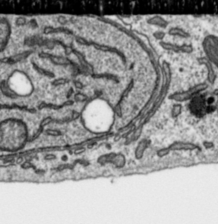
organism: Toxoplasma gondii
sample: Parasites in a vacuole inside a host cell